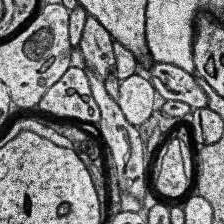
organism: Human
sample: Temporal Lobe